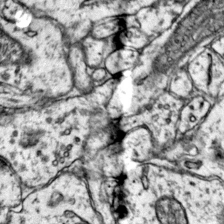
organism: Mouse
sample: Primary visual cortex